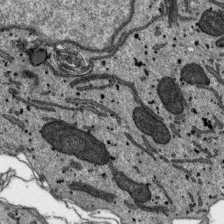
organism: Human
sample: Lung epithelial cells, uninfected (mock) control